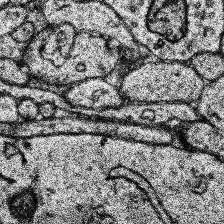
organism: Human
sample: Temporal Lobe